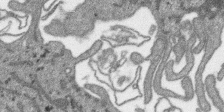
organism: Human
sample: Lung epithelial cells infected with SARS-CoV-2